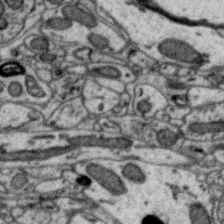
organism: Zebra finch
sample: Brain